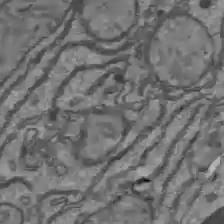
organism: C57BL Mouse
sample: Liver